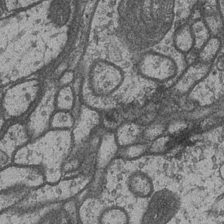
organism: Drosophila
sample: Optic medulla